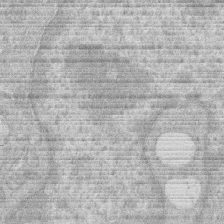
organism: Human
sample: Macrophage cells